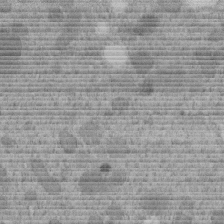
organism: C. elegans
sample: C. elegans embryo early stage